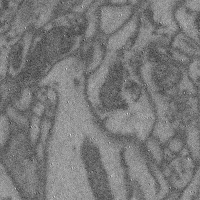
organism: Mouse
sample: Cerebral cortex